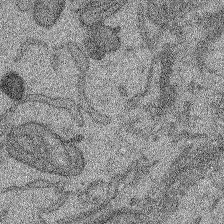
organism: Human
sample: HeLa cells